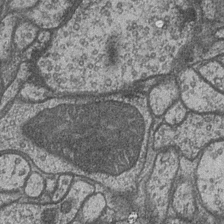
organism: Drosophila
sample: Optic medulla